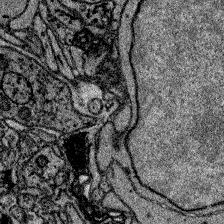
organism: Zebrafish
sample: Larval olfactory bulb